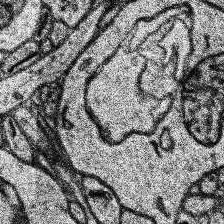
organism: Human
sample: Temporal Lobe